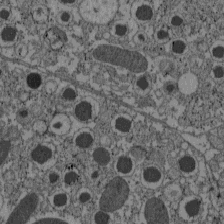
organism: C57BL Mouse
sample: Pancreatic islet